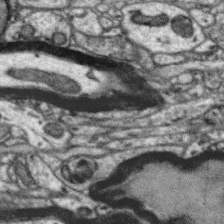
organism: Zebra finch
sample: Brain